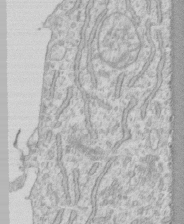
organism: Human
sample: CRL-1474